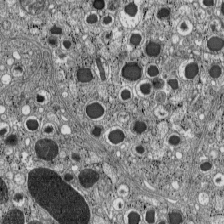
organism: C57BL Mouse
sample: Pancreatic islet